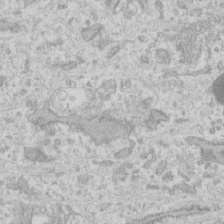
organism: Human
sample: Fibroblast cells